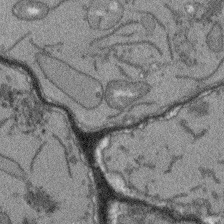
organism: Arabidopsis thaliana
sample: Root tip